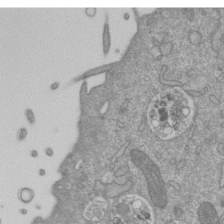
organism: Mouse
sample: ED-1 cell nuclei; centrioles